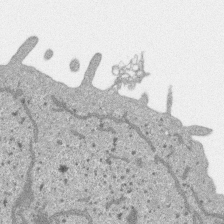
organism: Human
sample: Lung epithelial cells infected with SARS-CoV-2